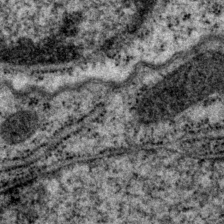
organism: P. pacificus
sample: Pharynx